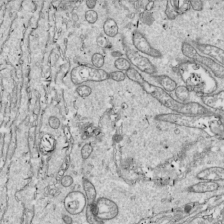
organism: Drosophila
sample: Cell division; meiosis; drosophila spermatocytes